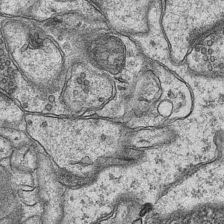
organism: Mouse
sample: CA1 Hippocampus